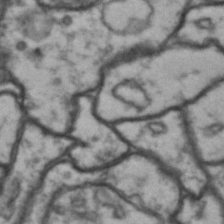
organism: Drosophila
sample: Brain